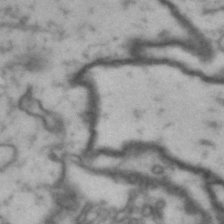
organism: Drosophila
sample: Brain